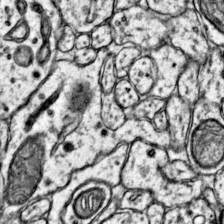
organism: Mouse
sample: Primary visual cortex